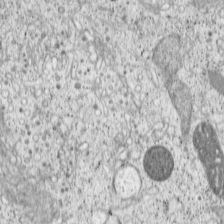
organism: African green monkey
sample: COS-7 cells